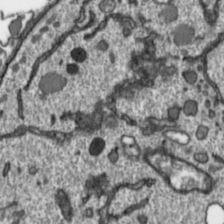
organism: Toxoplasma gondii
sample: Parasites in a vacuole inside a host cell